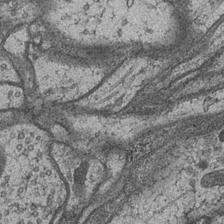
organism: Drosophila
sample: Optic medulla